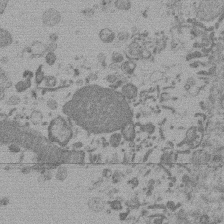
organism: Mouse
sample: Dividing mouse embryo 1 cell stage